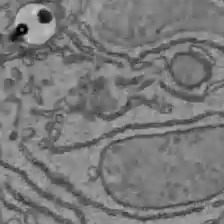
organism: C57BL Mouse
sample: Liver